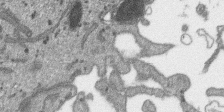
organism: Human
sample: Lung epithelial cells infected with SARS-CoV-2